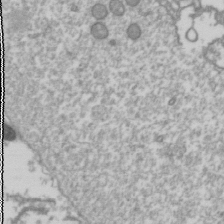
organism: Drosophila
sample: Cell division; meiosis; drosophila spermatocytes